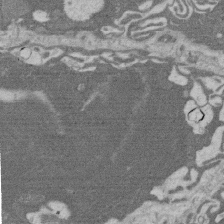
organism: Rat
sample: Salivary granule